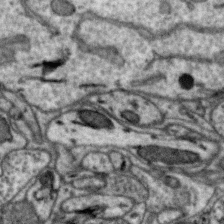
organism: Zebra finch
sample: Brain